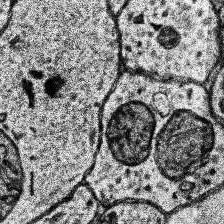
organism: Human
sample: Temporal Lobe